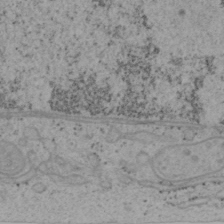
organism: Human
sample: HeLa cells